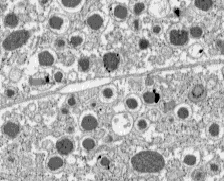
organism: C57BL Mouse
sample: Pancreatic islet